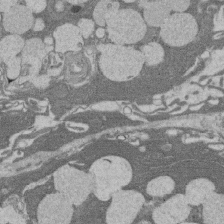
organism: Rat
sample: Salivary granule